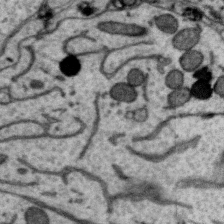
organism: Zebra finch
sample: Brain